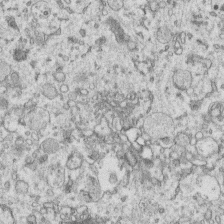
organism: Human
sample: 1205lu cells